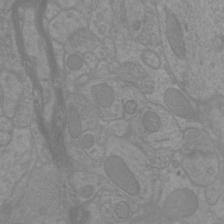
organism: Mouse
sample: Cortical neurons